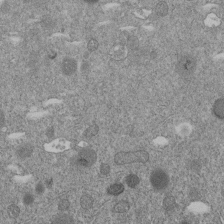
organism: C. elegans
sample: C. elegans embryo early stage